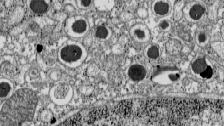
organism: C57BL Mouse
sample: Pancreatic islet